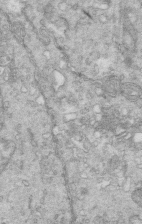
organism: Mouse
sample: Multiciliated cells